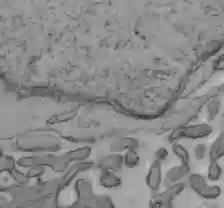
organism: C57BL Mouse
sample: Liver